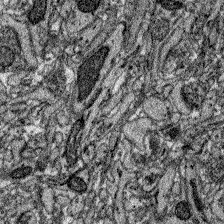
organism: Zebrafish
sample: Larval olfactory bulb